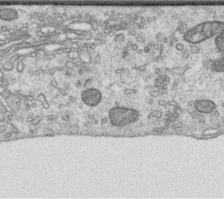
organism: Human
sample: Centriole in RPE cells